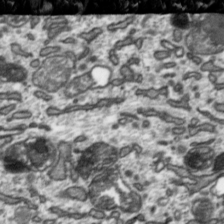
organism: Toxoplasma gondii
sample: Parasites in a vacuole inside a host cell